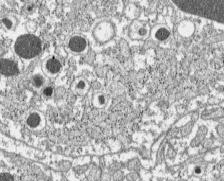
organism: C57BL Mouse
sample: Pancreatic islet